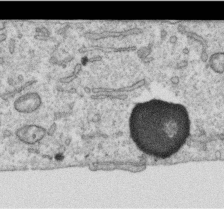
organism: Human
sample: Centriole in RPE cells